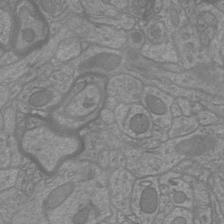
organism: Mouse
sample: Cortical neurons